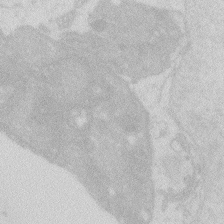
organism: Zebrafish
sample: Macrophage